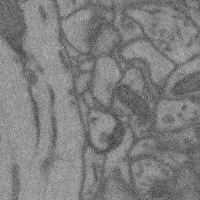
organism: Mouse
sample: Cerebral cortex